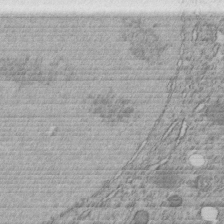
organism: C. elegans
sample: C. elegans embryo early stage